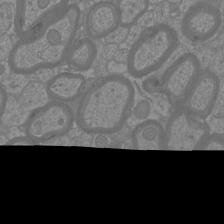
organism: Mouse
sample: Cortical neurons